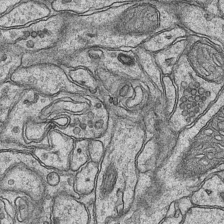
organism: Mouse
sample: CA1 Hippocampus